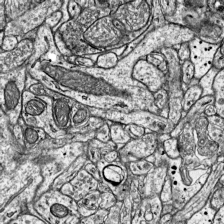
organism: Mouse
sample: Visual Cortex